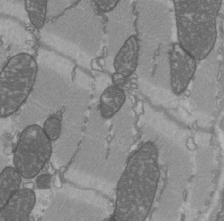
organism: C57BL Mouse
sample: Heart